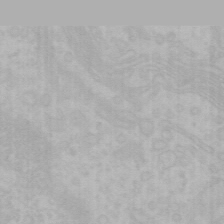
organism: Mouse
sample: Choroid plexus